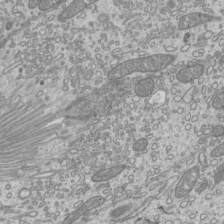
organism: Mouse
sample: Cilia; mouse epididymis